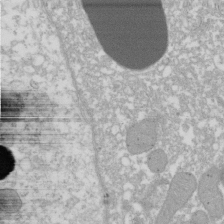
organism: Xenopus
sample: Cilia; centrioles in frog embryo cells